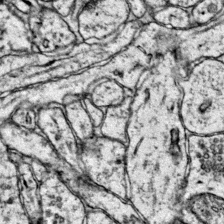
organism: Mouse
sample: Primary visual cortex